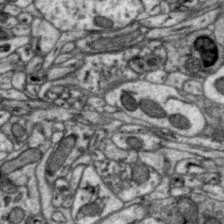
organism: Zebra finch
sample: Brain